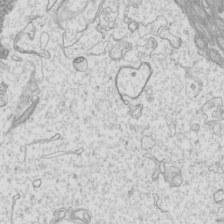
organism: Mouse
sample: Cilia; mouse epididymis